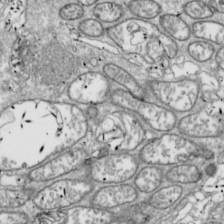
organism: Drosophila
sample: Cell division; meiosis; drosophila spermatocytes